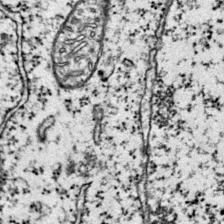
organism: Mouse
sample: Primary visual cortex